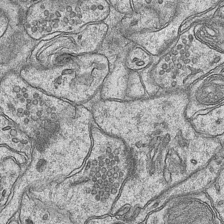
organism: Mouse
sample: CA1 Hippocampus